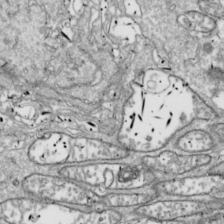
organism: Drosophila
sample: Cell division; meiosis; drosophila spermatocytes